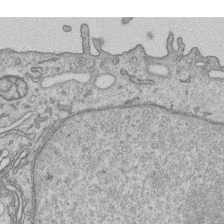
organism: Human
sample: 1205lu cells